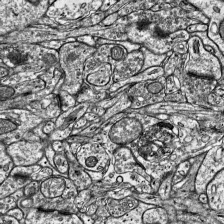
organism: Mouse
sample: Visual Cortex